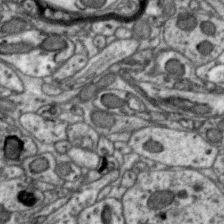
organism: Zebra finch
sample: Brain